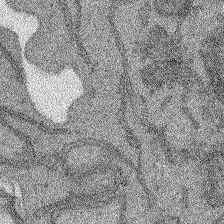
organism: Human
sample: HeLa cells